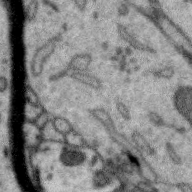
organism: Zebra finch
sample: Brain